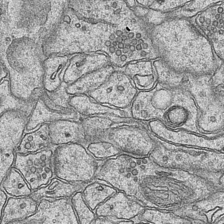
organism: Mouse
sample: CA1 Hippocampus